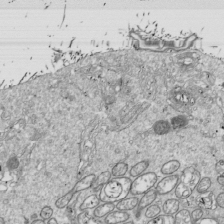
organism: Drosophila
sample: Cell division; meiosis; drosophila spermatocytes